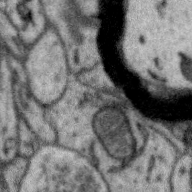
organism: Zebra finch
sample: Brain